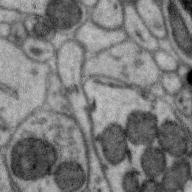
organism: Zebra finch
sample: Brain